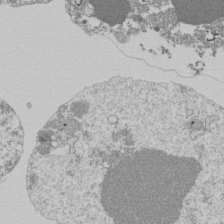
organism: Mouse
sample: Activated Pmel transgenic CD8+ T Cells